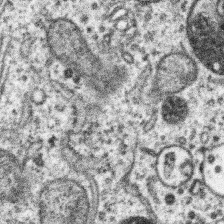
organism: Human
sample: HeLa cells